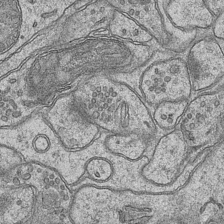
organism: Mouse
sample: CA1 Hippocampus